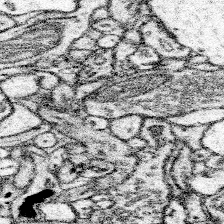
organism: Mouse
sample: Somatosensory cortex neuropil